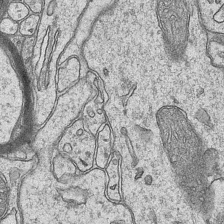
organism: Mouse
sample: CA1 Hippocampus